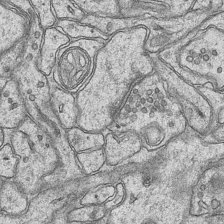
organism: Mouse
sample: CA1 Hippocampus